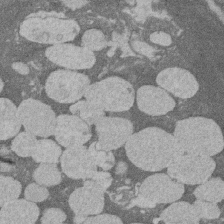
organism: Rat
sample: Salivary granule